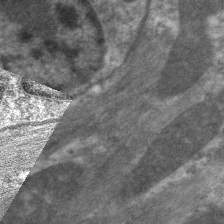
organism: C. elegans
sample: Pharynx